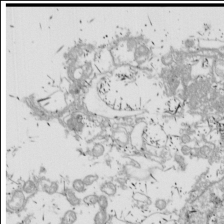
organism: Drosophila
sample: Cell division; meiosis; drosophila spermatocytes